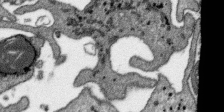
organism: Human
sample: Lung epithelial cells, uninfected (mock) control